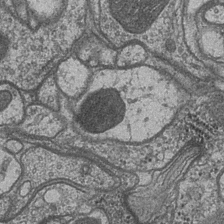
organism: Drosophila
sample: Optic medulla